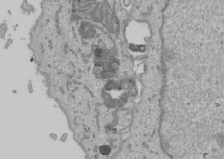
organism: Human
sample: Mitochondria in U2OS cells